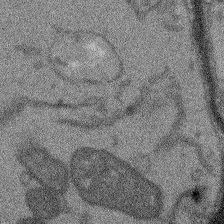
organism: Arabidopsis thaliana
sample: Root tip